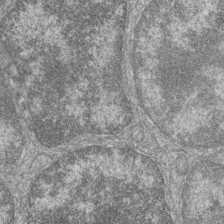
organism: Zebrafish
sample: Cilia; retinal pigment epithelium